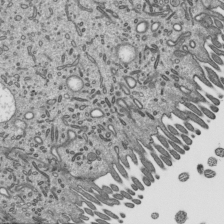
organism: Mouse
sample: Mouse epididymis efferent ductule cilia